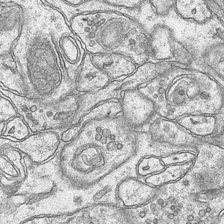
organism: Mouse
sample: CA1 Hippocampus